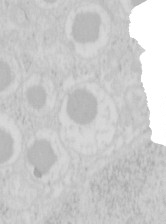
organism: Mouse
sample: Pancreas